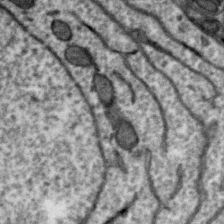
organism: Zebra finch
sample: Brain